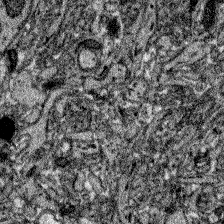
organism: Zebrafish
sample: Larval olfactory bulb